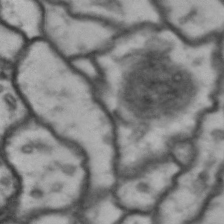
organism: Drosophila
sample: Brain